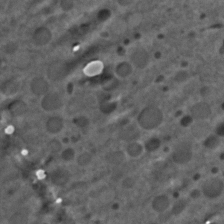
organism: C. elegans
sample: C. elegans embryo